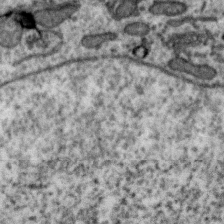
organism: Zebra finch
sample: Brain